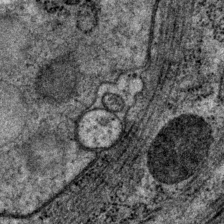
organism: P. pacificus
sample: Pharynx